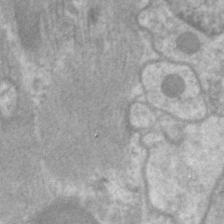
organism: C. elegans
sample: Pharynx